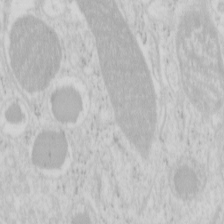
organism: Mouse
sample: Pancreas